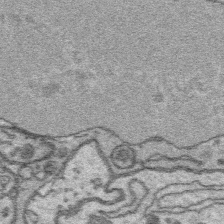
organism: Platynereis dumerilii